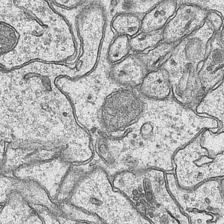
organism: Mouse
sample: CA1 Hippocampus